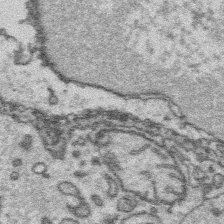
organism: Platynereis dumerilii